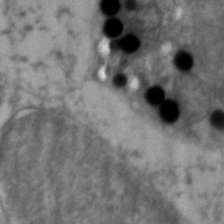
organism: Zebrafish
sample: Zebrafish embryo